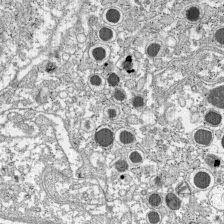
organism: C57BL Mouse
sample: Pancreatic islet